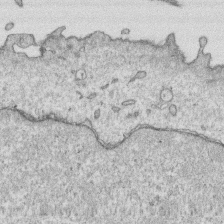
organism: Human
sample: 1205lu cells